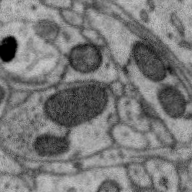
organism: Zebra finch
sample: Brain